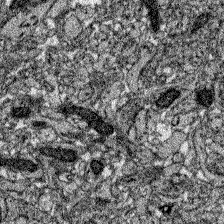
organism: Zebrafish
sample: Larval olfactory bulb